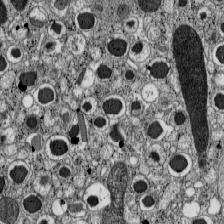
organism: C57BL Mouse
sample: Pancreatic islet